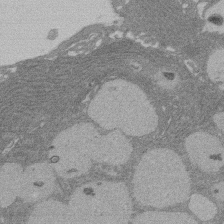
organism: Rat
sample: Salivary granule